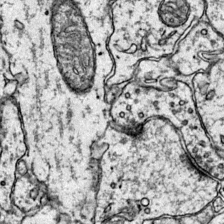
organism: Mouse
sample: Primary visual cortex